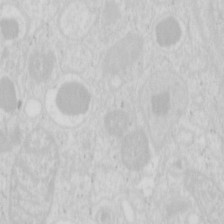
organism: Mouse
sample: Pancreas